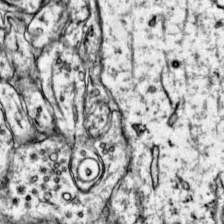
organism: Mouse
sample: Primary visual cortex